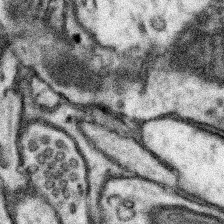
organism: Mouse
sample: Somatosensory cortex neuropil